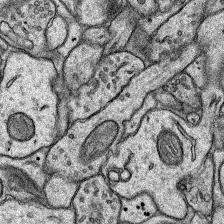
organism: Rat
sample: Hippocampus